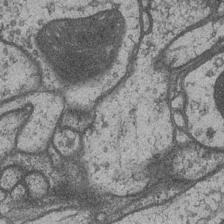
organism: Drosophila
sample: Optic medulla